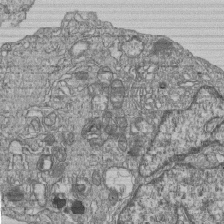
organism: Human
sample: MDA-MB-231 cells